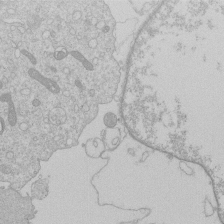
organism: Human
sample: Macrophage cells